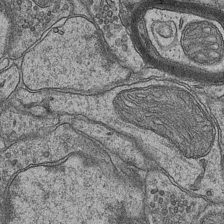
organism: Mouse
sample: CA1 Hippocampus